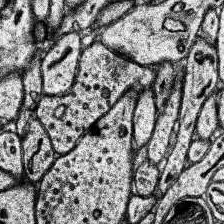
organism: Human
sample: Temporal Lobe